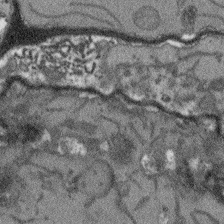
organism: Arabidopsis thaliana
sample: Root tip